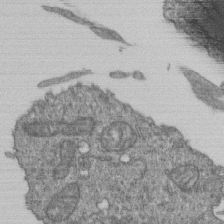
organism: Human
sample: Retinal organoid Rod and Cone cells